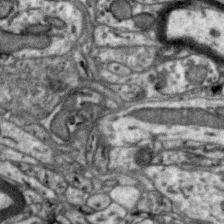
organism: Zebra finch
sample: Brain